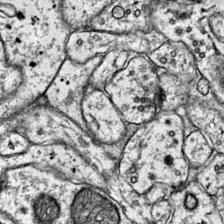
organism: Mouse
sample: Primary visual cortex